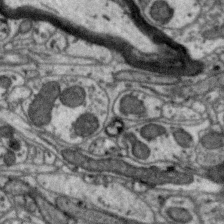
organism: Zebra finch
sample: Brain